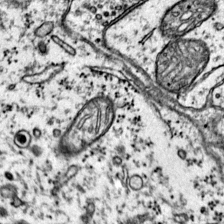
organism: Mouse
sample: Primary visual cortex